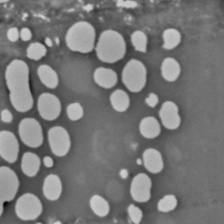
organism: C. elegans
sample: C. elegans embryo